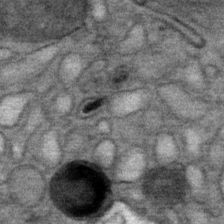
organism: Mouse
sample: Mouse Salivary gland